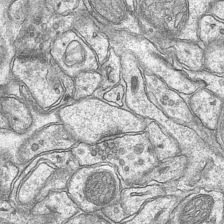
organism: Mouse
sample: CA1 Hippocampus